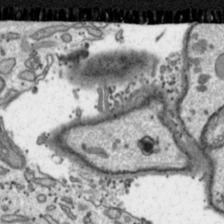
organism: Toxoplasma gondii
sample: Parasites in a vacuole inside a host cell